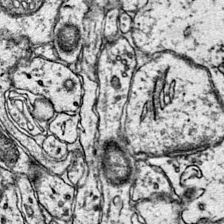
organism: Mouse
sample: Primary visual cortex